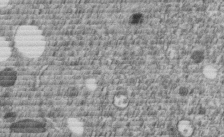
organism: C. elegans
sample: C. elegans embryo early stage